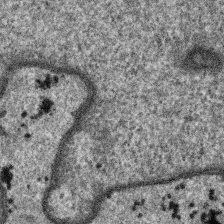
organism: Human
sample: Lung epithelial cells infected with SARS-CoV-2